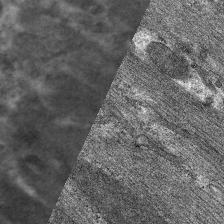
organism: C. elegans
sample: Pharynx